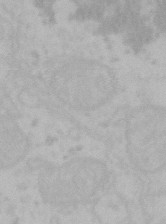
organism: Mouse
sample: Choroid plexus